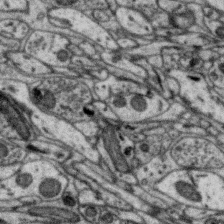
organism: Zebra finch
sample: Brain